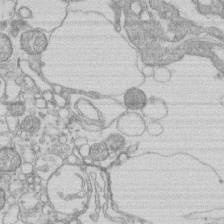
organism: Human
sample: Macrophage cells